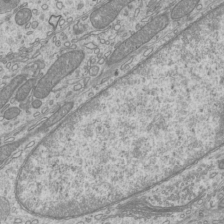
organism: Mouse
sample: Cilia; mouse epididymis